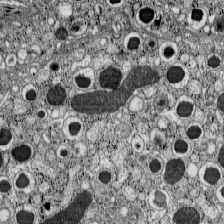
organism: C57BL Mouse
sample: Pancreatic islet